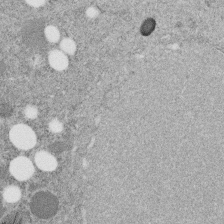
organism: C. elegans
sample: C. elegans embryo early stage